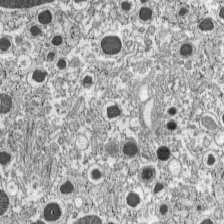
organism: C57BL Mouse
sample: Pancreatic islet